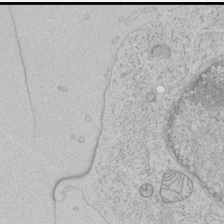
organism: Human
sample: Mitochondria in HCT116 cells